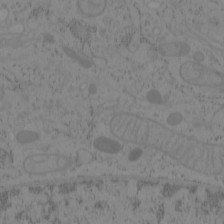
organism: Human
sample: HeLa cells